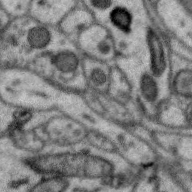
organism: Zebra finch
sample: Brain